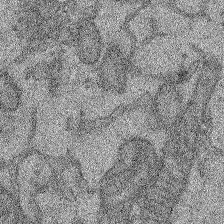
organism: Human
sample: HeLa cells